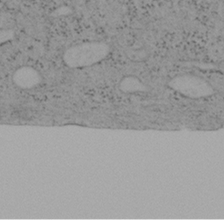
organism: Mouse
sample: OT-I killer T cells with ID8 ovarian cancer cells